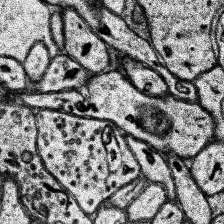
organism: Human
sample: Temporal Lobe